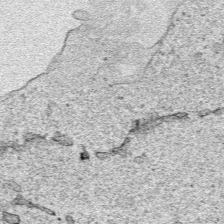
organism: Human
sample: Mitochondria in HCT116 cells